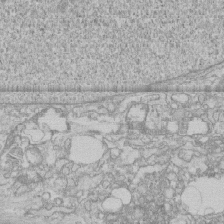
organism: Human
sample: CRL-1474